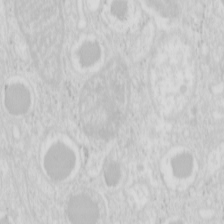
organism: Mouse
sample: Pancreas